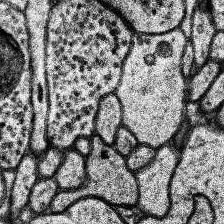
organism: Human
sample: Temporal Lobe